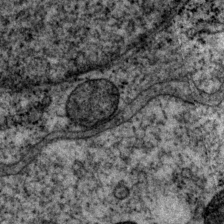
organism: P. pacificus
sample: Pharynx